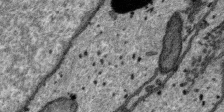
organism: Human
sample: Lung epithelial cells, uninfected (mock) control